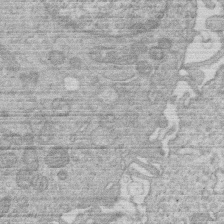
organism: Human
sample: Macrophage cells